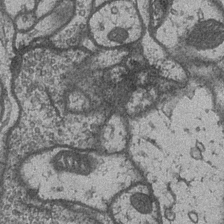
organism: Drosophila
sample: Optic medulla